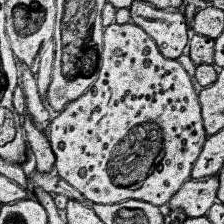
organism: Human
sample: Temporal Lobe